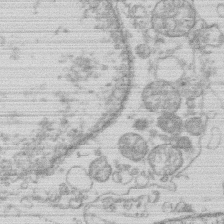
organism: Human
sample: Macrophage cells